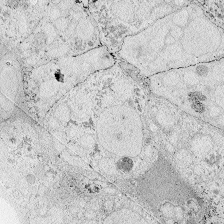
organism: Zebrafish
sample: Whole-Brain